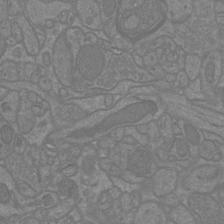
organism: Mouse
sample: Cortical neurons